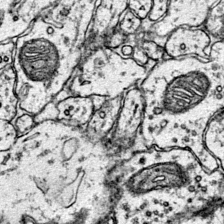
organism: Mouse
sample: Primary visual cortex